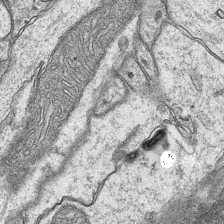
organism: Mouse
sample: CA1 Hippocampus